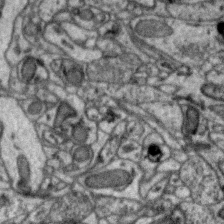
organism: Zebra finch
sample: Brain